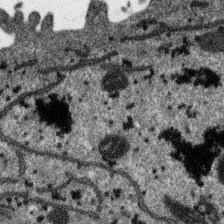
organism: Human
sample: Lung epithelial cells infected with SARS-CoV-2